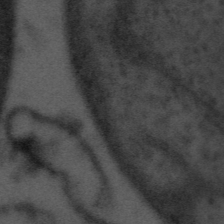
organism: Tuwongella immobilis